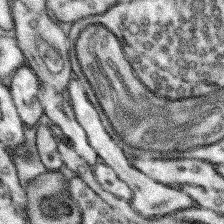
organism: Mouse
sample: Somatosensory cortex neuropil